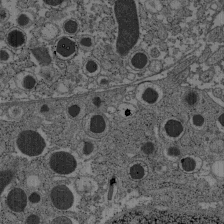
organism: C57BL Mouse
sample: Pancreatic islet